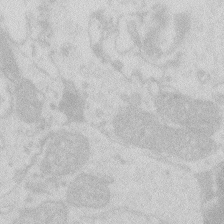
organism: Zebrafish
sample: Macrophage